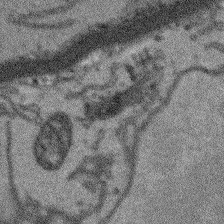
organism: Arabidopsis thaliana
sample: Root tip